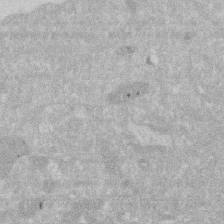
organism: Human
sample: HIV infected U937 cells